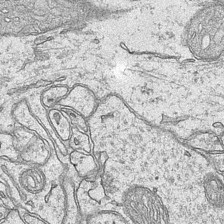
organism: Mouse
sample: CA1 Hippocampus